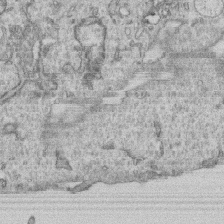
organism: Human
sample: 1205lu cells